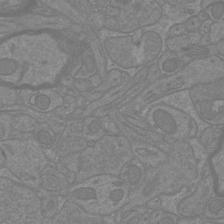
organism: Mouse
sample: Cortical neurons